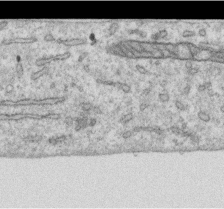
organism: Human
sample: Centriole in RPE cells